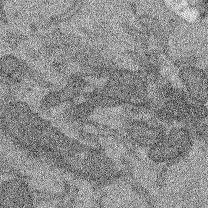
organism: Human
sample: HeLa cells